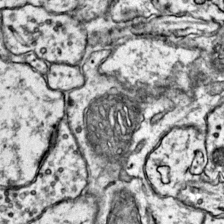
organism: Mouse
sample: Primary visual cortex